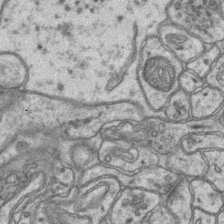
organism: Mouse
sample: CA1 Hippocampus